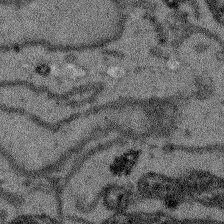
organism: Arabidopsis thaliana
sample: Root tip